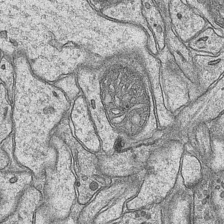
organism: Mouse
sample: CA1 Hippocampus